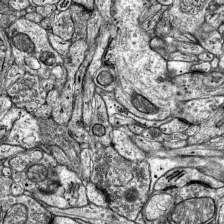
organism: Mouse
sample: Visual Cortex